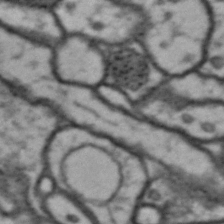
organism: Drosophila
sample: Brain